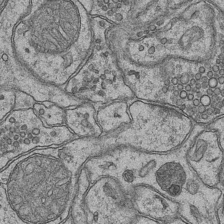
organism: Mouse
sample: CA1 Hippocampus